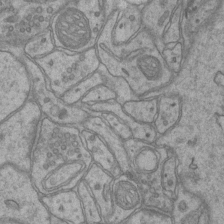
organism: Mouse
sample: CA1 Hippocampus